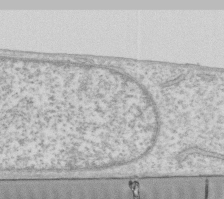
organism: Human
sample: Fibroblast cells